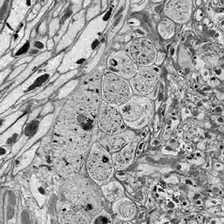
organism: Drosophila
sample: Optic lobe